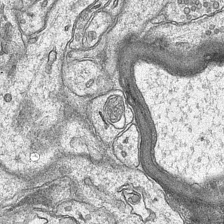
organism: Mouse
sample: CA1 Hippocampus